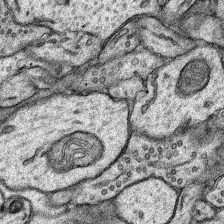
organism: Rat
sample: Hippocampus